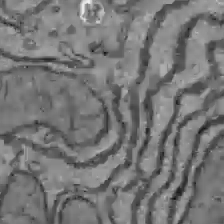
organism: C57BL Mouse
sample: Liver